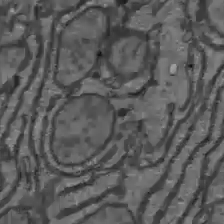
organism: C57BL Mouse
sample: Liver